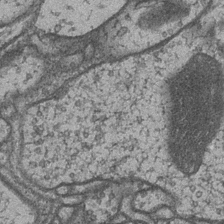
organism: Drosophila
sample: Optic medulla